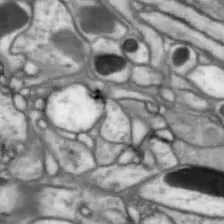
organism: Drosophila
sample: Optic lobe